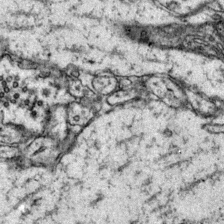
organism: Mouse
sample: Primary visual cortex